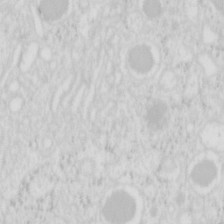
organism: Mouse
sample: Pancreas